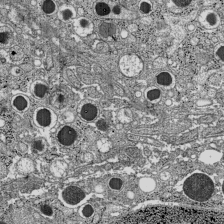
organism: C57BL Mouse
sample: Pancreatic islet